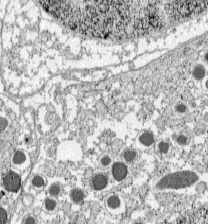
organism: C57BL Mouse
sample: Pancreatic islet